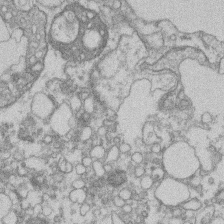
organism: Mouse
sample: T cell stromal cell synapse